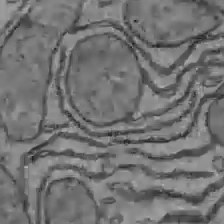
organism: C57BL Mouse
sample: Liver